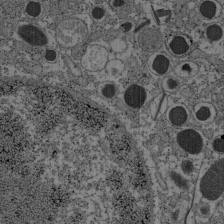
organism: C57BL Mouse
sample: Pancreatic islet